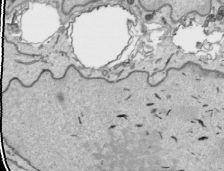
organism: Human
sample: Mitochondria in HCT116 cells